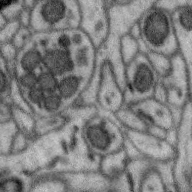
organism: Zebra finch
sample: Brain